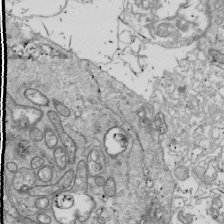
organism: Drosophila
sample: Cell division; meiosis; drosophila spermatocytes